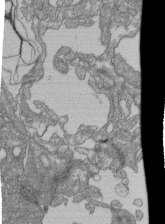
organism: Human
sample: Retinal organoid Rod and Cone cells